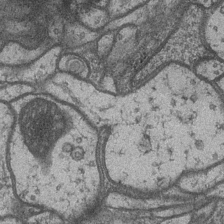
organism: Drosophila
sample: Optic medulla